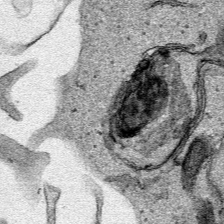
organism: Human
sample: Mitochondria in HCT116 cells